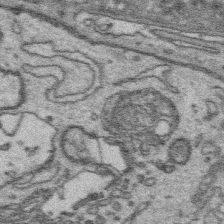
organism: Platynereis dumerilii